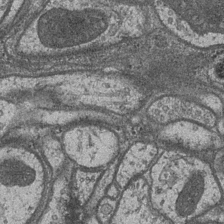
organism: Drosophila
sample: Optic medulla